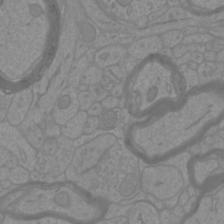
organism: Mouse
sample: Cortical neurons